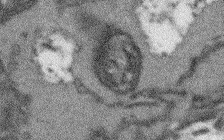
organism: Arabidopsis thaliana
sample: Root tip